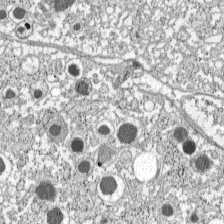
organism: C57BL Mouse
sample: Pancreatic islet